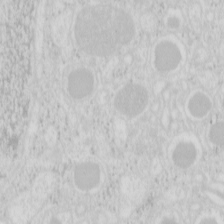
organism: Mouse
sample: Pancreas